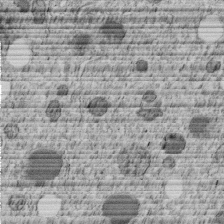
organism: C. elegans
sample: C. elegans embryo early stage